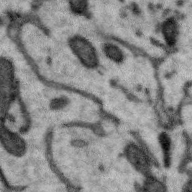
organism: Zebra finch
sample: Brain